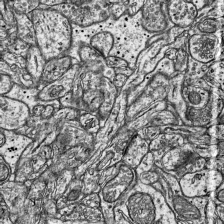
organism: Mouse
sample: Visual Cortex